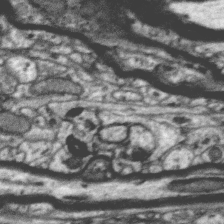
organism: Zebra finch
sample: Brain